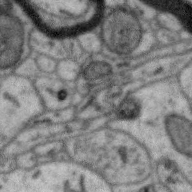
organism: Zebra finch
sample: Brain